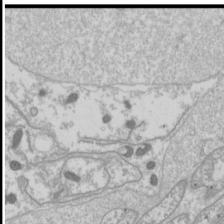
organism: Drosophila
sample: Cell division; meiosis; drosophila spermatocytes